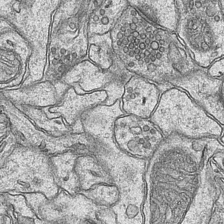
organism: Mouse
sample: CA1 Hippocampus